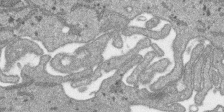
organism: Human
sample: Lung epithelial cells infected with SARS-CoV-2